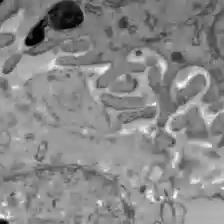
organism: C57BL Mouse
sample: Liver